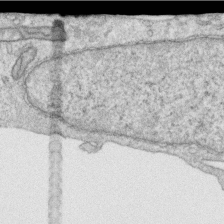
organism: Human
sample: Centriole in RPE cells